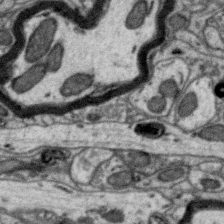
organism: Zebra finch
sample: Brain